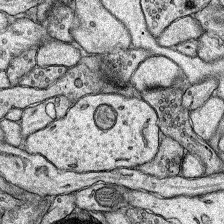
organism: Rat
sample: Hippocampus